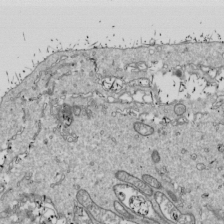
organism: Drosophila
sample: Cell division; meiosis; drosophila spermatocytes